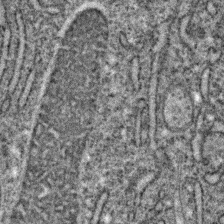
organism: C. elegans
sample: C. elegans embryo